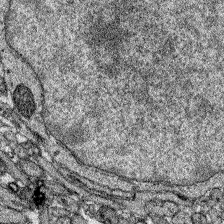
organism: Zebrafish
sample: Larval olfactory bulb